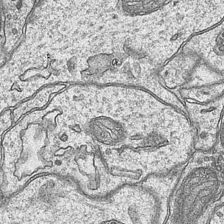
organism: Mouse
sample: CA1 Hippocampus